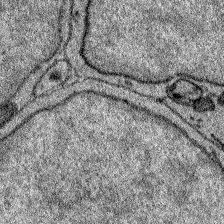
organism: Zebrafish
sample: Larval olfactory bulb